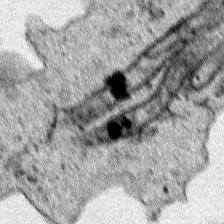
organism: Human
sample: Mitochondria in HCT116 cells